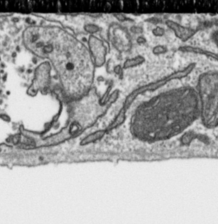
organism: Toxoplasma gondii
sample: Parasites in a vacuole inside a host cell